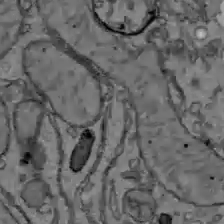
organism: C57BL Mouse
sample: Liver